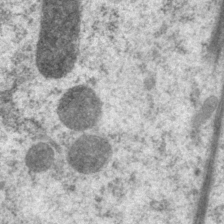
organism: P. pacificus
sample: Pharynx